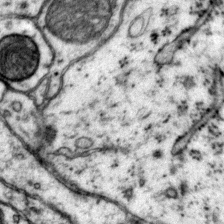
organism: Mouse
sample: Primary visual cortex